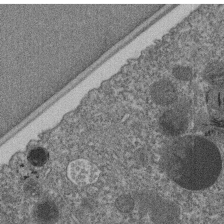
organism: C. elegans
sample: C. elegans embryo early stage